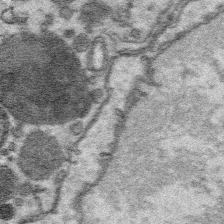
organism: Platynereis dumerilii